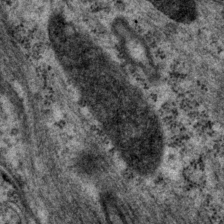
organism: P. pacificus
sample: Pharynx